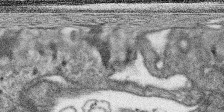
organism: Human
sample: Lung epithelial cells infected with SARS-CoV-2